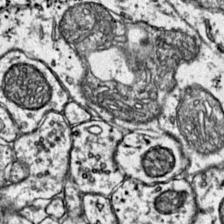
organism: Mouse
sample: Primary visual cortex